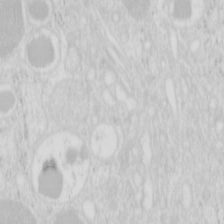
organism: Mouse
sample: Pancreas